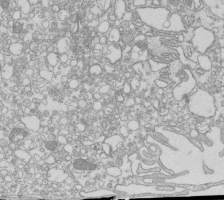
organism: Mouse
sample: Macrophages